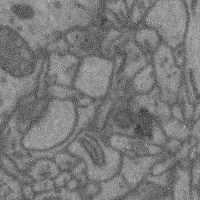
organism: Mouse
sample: Cerebral cortex